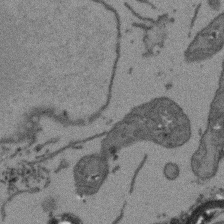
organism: Arabidopsis thaliana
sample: Root tip